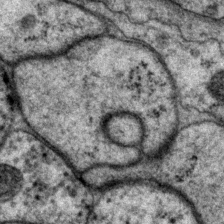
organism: P. pacificus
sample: Pharynx